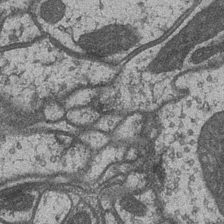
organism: Drosophila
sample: Optic medulla